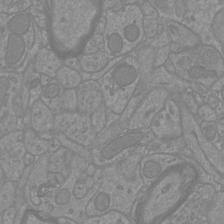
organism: Mouse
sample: Cortical neurons